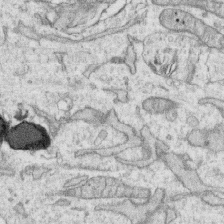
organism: Human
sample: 1205lu cells